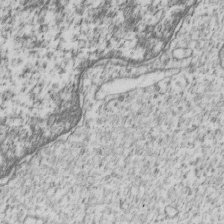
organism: Human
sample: MDA-MB-231 cells